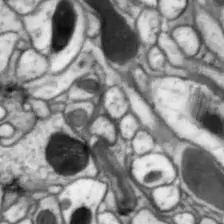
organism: Drosophila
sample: Optic lobe